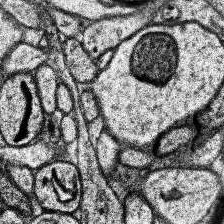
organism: Human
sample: Temporal Lobe